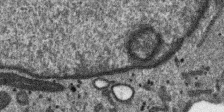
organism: Human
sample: Lung epithelial cells infected with SARS-CoV-2